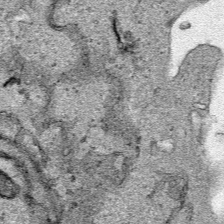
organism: Human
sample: Mitochondria in HCT116 cells